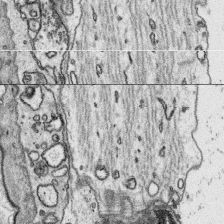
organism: Platynereis dumerilii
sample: Parapodia